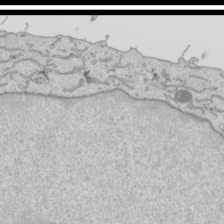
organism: Human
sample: Mitochondria in HCT116 cells